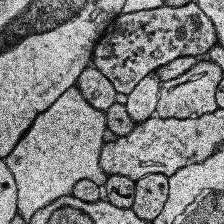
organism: Human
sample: Temporal Lobe